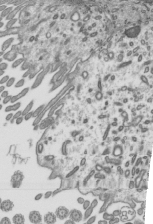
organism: Mouse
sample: Mouse epididymis efferent ductule cilia